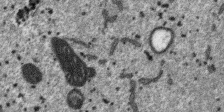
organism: Human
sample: Lung epithelial cells infected with SARS-CoV-2